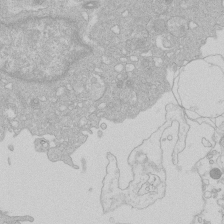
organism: Human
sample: Macrophage cells